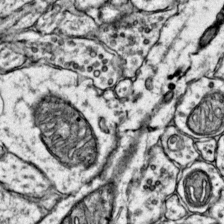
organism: Mouse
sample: Primary visual cortex